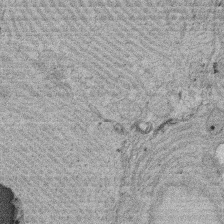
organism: Rat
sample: Salivary granule